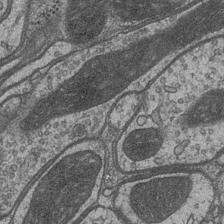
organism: Drosophila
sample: Optic medulla